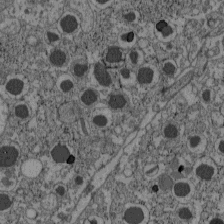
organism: C57BL Mouse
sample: Pancreatic islet